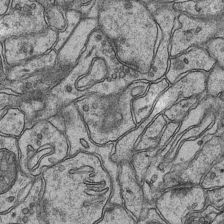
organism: Mouse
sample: CA1 Hippocampus